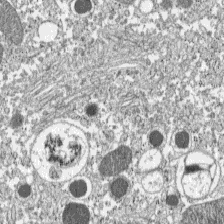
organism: C57BL Mouse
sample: Pancreatic islet